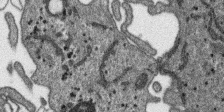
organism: Human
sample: Lung epithelial cells infected with SARS-CoV-2